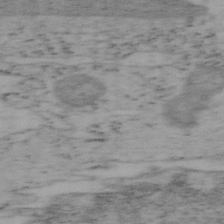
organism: Mouse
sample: OT-I killer T cells with ID8 ovarian cancer cells